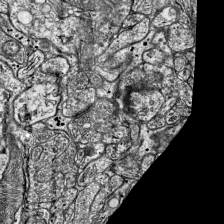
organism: Mouse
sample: Visual Cortex